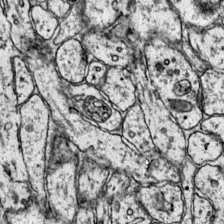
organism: Mouse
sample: Primary visual cortex